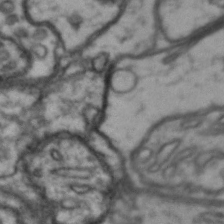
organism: Drosophila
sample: Brain